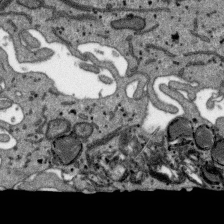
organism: Human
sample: Lung epithelial cells, uninfected (mock) control